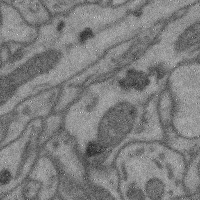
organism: Mouse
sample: Cerebral cortex